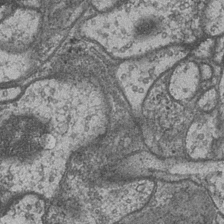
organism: Drosophila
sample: Optic medulla